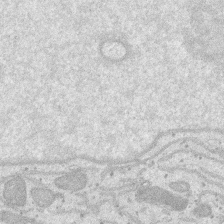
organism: Human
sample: Lung epithelial cells infected with SARS-CoV-2